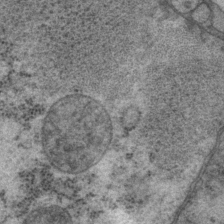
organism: P. pacificus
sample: Pharynx